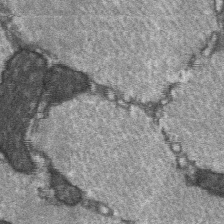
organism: C57BL Mouse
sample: Soleus